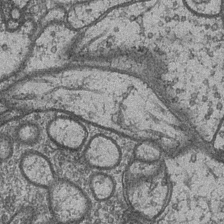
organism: Drosophila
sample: Optic medulla